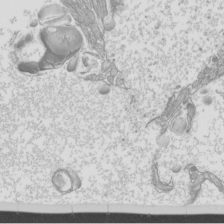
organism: Mouse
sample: Cilia; mouse epididymis